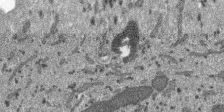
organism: Human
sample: Lung epithelial cells infected with SARS-CoV-2